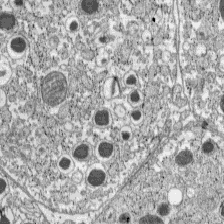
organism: C57BL Mouse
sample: Pancreatic islet